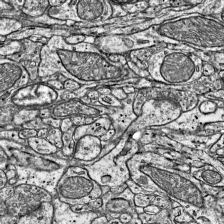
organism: Mouse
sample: Visual Cortex